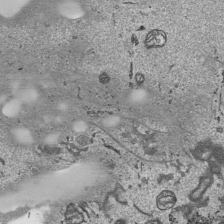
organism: Human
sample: Mitochondria in HCT116 cells